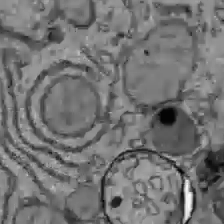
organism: C57BL Mouse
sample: Liver